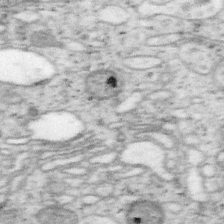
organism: Mouse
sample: OT-I killer T cells with ID8 ovarian cancer cells